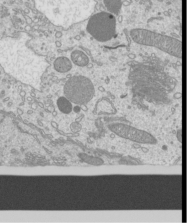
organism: Mouse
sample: Cilia; mouse epididymis